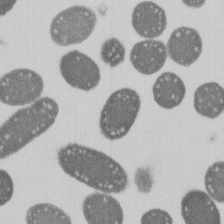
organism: E. coli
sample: Bacterial nucleoid